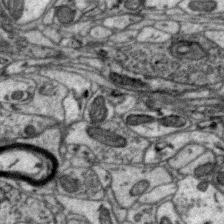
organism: Zebra finch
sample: Brain